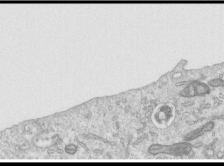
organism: Human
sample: Centriole in RPE cells